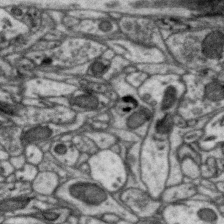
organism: Zebra finch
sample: Brain